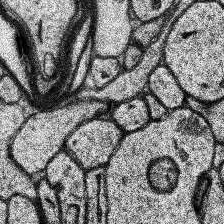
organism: Human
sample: Temporal Lobe